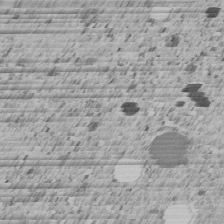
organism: C. elegans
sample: C. elegans embryo early stage